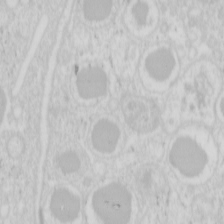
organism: Mouse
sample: Pancreas